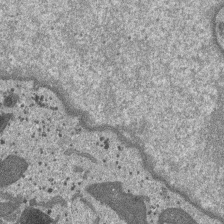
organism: Human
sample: Lung epithelial cells infected with SARS-CoV-2